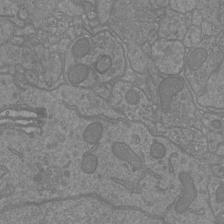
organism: Mouse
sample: Cortical neurons